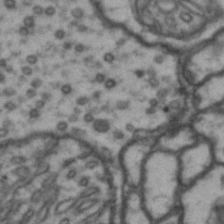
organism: Drosophila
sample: Brain